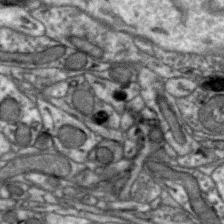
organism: Zebra finch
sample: Brain